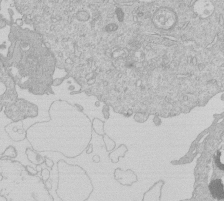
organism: Human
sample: Macrophage cells